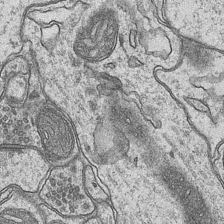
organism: Mouse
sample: CA1 Hippocampus